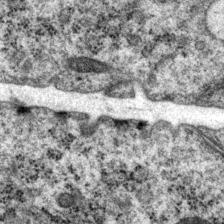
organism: P. pacificus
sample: Pharynx